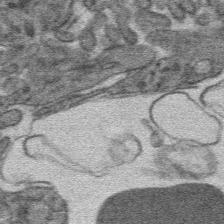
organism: Mouse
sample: Mouse hepatocytes